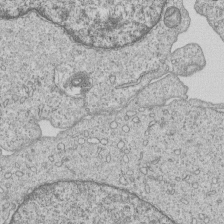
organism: Human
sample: MDA-MB-231 cells